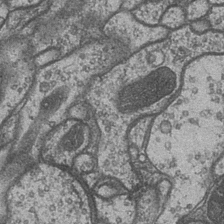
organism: Drosophila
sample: Optic medulla